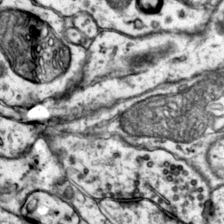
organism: Mouse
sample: Primary visual cortex